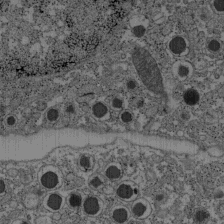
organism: C57BL Mouse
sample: Pancreatic islet